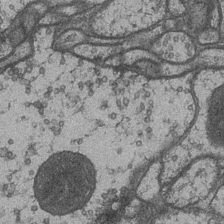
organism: Drosophila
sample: Optic medulla